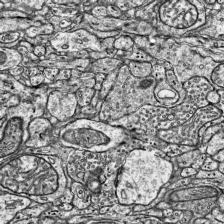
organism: Mouse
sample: Visual Cortex